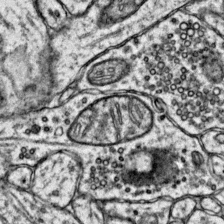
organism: Mouse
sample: Primary visual cortex